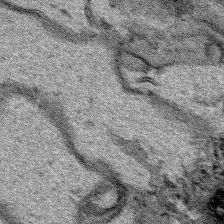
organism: Human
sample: Mitochondria in HCT116 cells